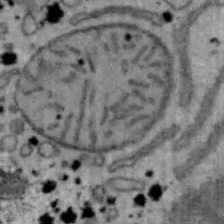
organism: Mouse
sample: Liver